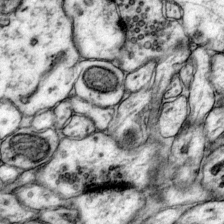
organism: Mouse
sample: Primary visual cortex